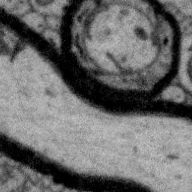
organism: Zebra finch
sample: Brain